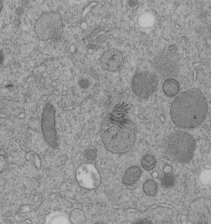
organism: C. elegans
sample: C. elegans embryo early stage